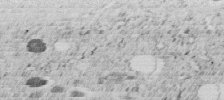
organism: C. elegans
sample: C. elegans embryo early stage